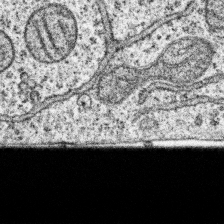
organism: Human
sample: HeLa cells